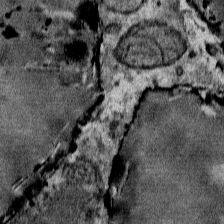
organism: Mouse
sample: Mouse Salivary gland